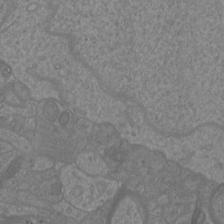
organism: Mouse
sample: Cortical neurons